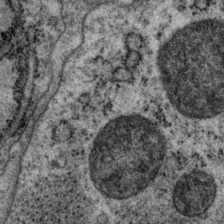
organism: P. pacificus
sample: Pharynx